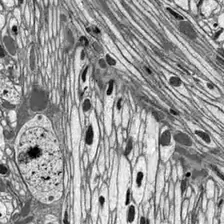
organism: Drosophila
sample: Optic lobe